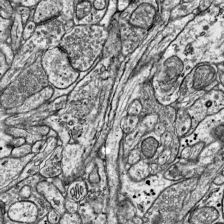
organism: Mouse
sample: Visual Cortex